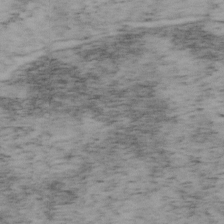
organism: Mouse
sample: OT-I killer T cells with ID8 ovarian cancer cells